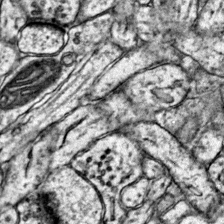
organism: Mouse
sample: Primary visual cortex